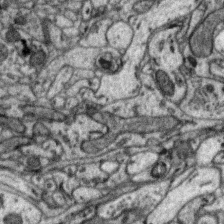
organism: Zebra finch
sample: Brain